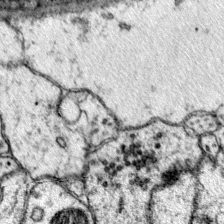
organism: Mouse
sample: Primary visual cortex